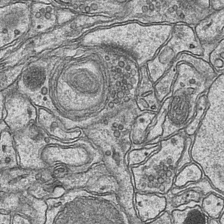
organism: Mouse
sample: CA1 Hippocampus